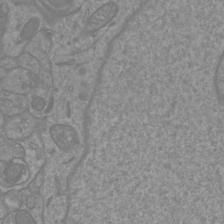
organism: Mouse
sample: Cortical neurons